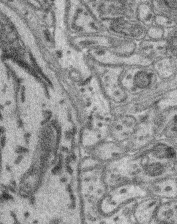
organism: Mouse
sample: Retina